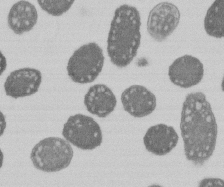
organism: E. coli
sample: Bacterial nucleoid